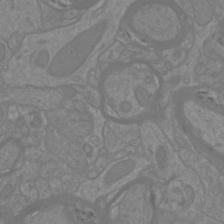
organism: Mouse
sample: Cortical neurons